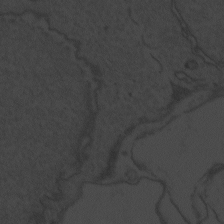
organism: Zebrafish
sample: Macrophage infected with Toxoplasma gondii